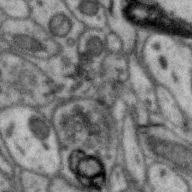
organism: Zebra finch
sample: Brain